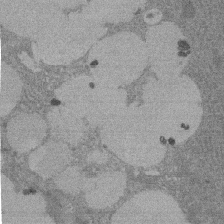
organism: Rat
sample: Salivary granule